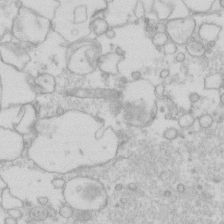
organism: Human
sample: Fibroblast cells